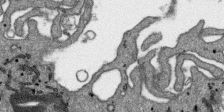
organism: Human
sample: Lung epithelial cells, uninfected (mock) control